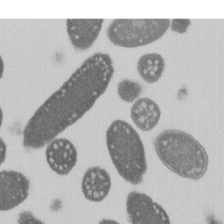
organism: E. coli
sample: Bacterial nucleoid